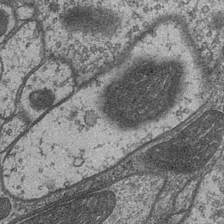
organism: Drosophila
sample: Optic medulla